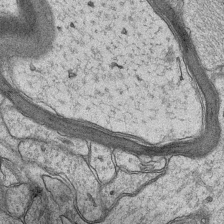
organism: Mouse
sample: CA1 Hippocampus